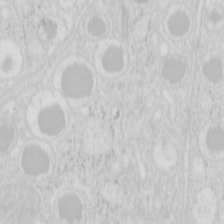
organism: Mouse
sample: Pancreas